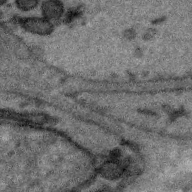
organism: Zebra finch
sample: Brain